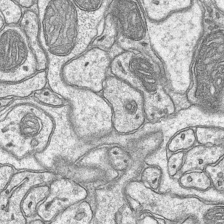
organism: Mouse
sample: CA1 Hippocampus